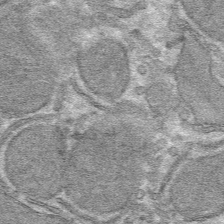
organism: Mouse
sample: Mouse hepatocytes